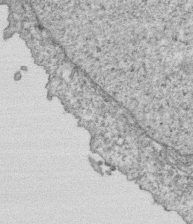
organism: Human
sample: HeLa cell HIV synapse